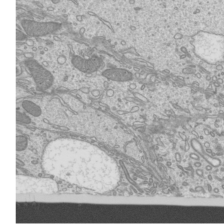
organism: Mouse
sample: Cilia; mouse epididymis